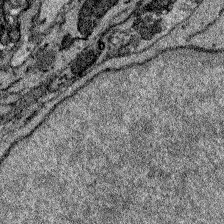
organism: Zebrafish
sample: Larval olfactory bulb